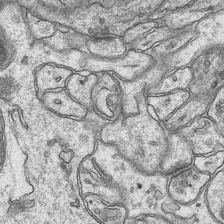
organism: Mouse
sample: CA1 Hippocampus